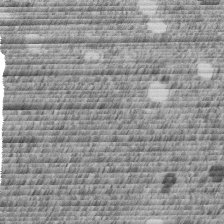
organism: C. elegans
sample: C. elegans embryo early stage